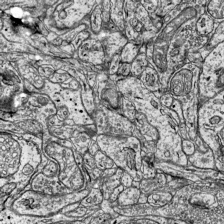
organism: Mouse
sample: Visual Cortex